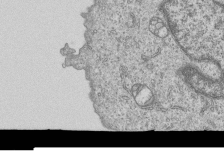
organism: Human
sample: MDA-MB-231 cells